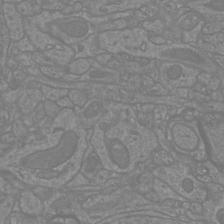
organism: Mouse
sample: Cortical neurons